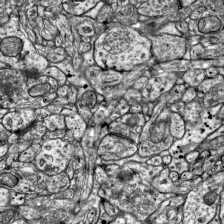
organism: Mouse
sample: Visual Cortex